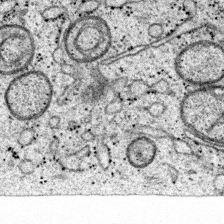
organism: Human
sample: HeLa cells